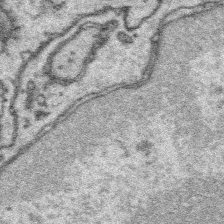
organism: Platynereis dumerilii